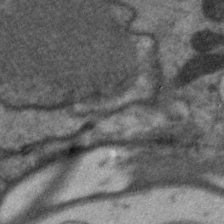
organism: C. elegans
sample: Pharynx